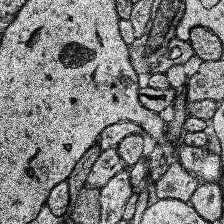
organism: Human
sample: Temporal Lobe